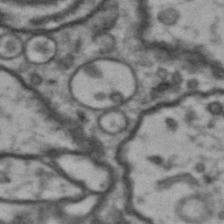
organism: Drosophila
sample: Brain